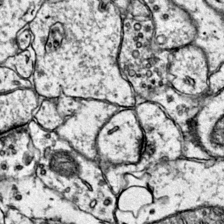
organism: Mouse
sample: Primary visual cortex